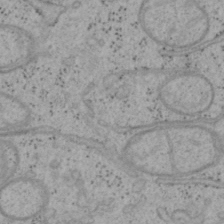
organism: Human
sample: HeLa cells